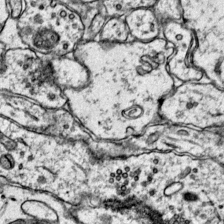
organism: Mouse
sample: Primary visual cortex